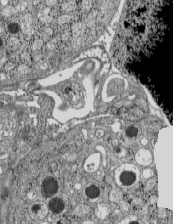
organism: C57BL Mouse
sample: Pancreatic islet